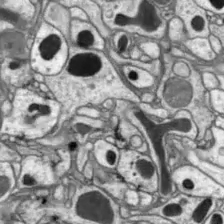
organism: Drosophila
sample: Optic lobe